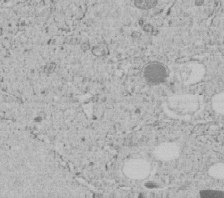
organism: C. elegans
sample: C. elegans embryo early stage